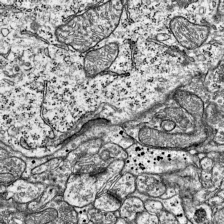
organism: Mouse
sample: Visual Cortex